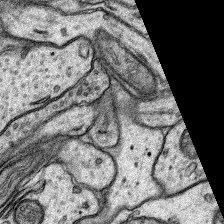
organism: Rat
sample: Hippocampus